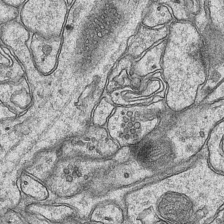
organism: Mouse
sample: CA1 Hippocampus